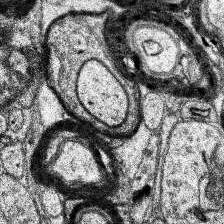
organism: Human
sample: Temporal Lobe